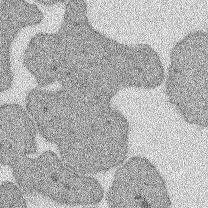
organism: Human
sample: HeLa cells